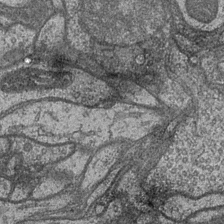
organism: Drosophila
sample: Optic medulla